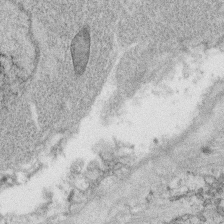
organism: C. elegans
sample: C. elegans oocyte; sperm cells